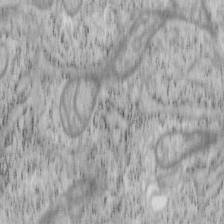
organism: Human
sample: HeLa cells